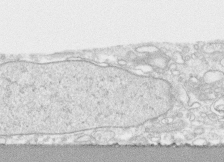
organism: Human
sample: CRL-1474